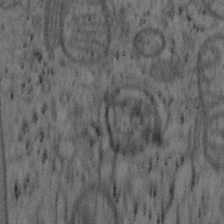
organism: Human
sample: HeLa cells